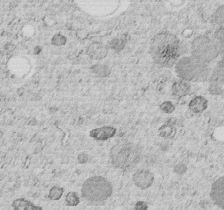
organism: C. elegans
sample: C. elegans embryo early stage